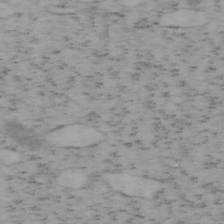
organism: Mouse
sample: OT-I killer T cells with ID8 ovarian cancer cells